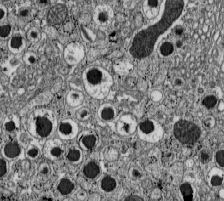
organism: C57BL Mouse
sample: Pancreatic islet